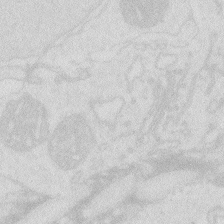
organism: Zebrafish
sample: Macrophage